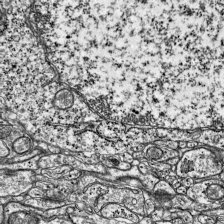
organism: Mouse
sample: Visual Cortex